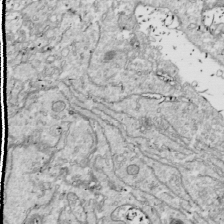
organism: Drosophila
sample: Cell division; meiosis; drosophila spermatocytes